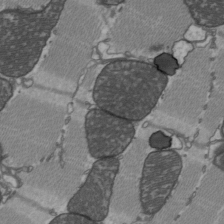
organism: C57BL Mouse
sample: Heart